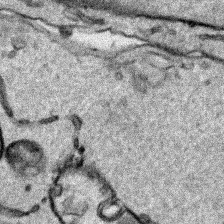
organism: Human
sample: Mitochondria in HCT116 cells